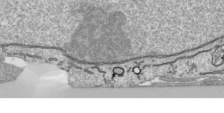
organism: Human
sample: Mitochondria in HCT116 cells